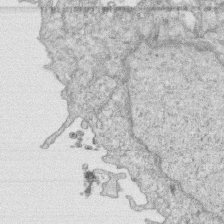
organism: Human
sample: HeLa cell HIV synapse